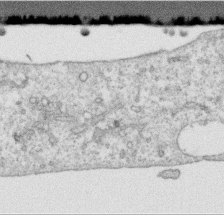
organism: Human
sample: Centriole in RPE cells